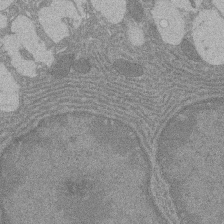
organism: Rat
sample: Salivary granule